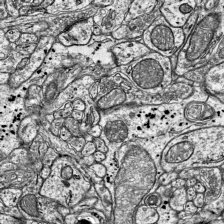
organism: Mouse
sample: Visual Cortex